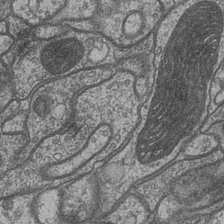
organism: Drosophila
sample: Optic medulla